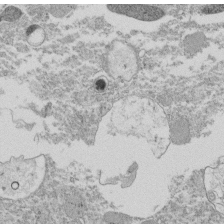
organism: Tetrahymena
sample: Cilia in tetrahymena